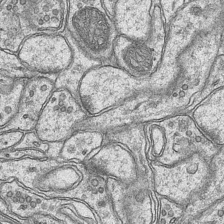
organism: Mouse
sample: CA1 Hippocampus